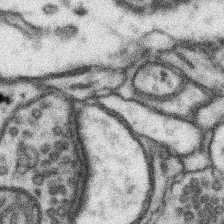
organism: Mouse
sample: Somatosensory cortex neuropil